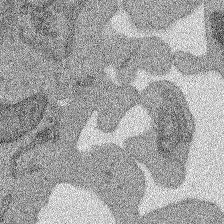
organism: Human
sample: HeLa cells